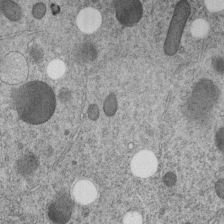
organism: C. elegans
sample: C. elegans embryo early stage